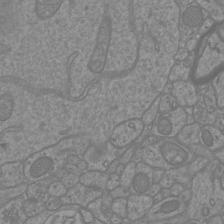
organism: Mouse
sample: Cortical neurons